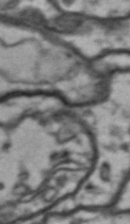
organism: Drosophila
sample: Brain